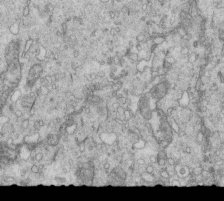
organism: Mouse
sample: Multiciliated cells